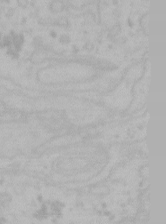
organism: Mouse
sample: Choroid plexus